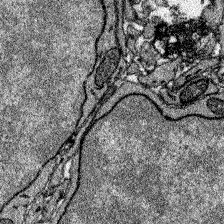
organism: Zebrafish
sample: Larval olfactory bulb